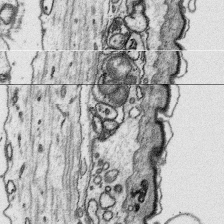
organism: Platynereis dumerilii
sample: Parapodia